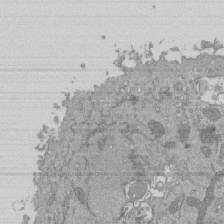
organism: Mouse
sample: ED-1 cell nuclei; centrioles